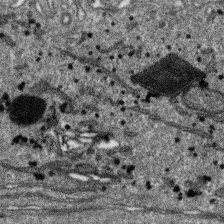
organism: Human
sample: Lung epithelial cells infected with SARS-CoV-2